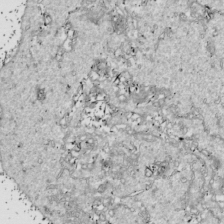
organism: Drosophila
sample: Cell division; meiosis; drosophila spermatocytes